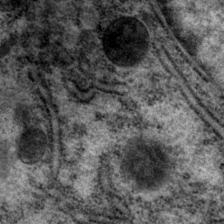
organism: P. pacificus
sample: Pharynx